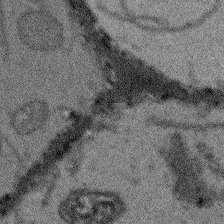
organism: Arabidopsis thaliana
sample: Root tip